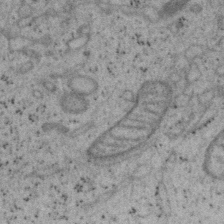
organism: Human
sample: HeLa cells